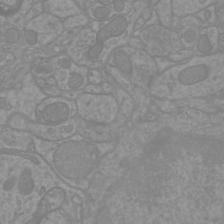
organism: Mouse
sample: Cortical neurons